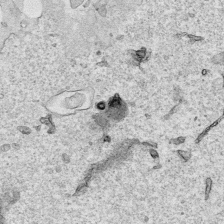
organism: Human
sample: Mitochondria in HCT116 cells